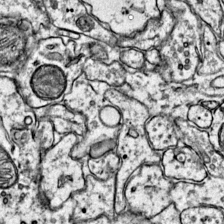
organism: Mouse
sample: Primary visual cortex